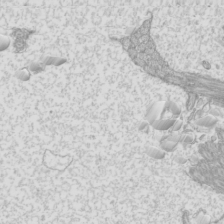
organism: Mouse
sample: Cilia; mouse epididymis